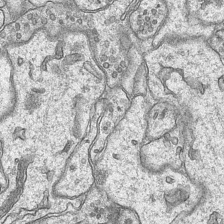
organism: Mouse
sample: CA1 Hippocampus